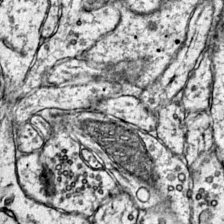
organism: Mouse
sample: Primary visual cortex